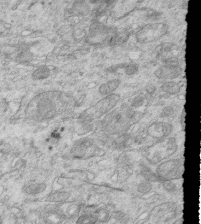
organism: Mouse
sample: Multiciliated cells